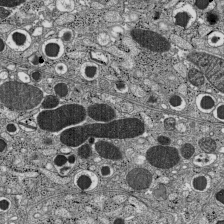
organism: C57BL Mouse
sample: Pancreatic islet